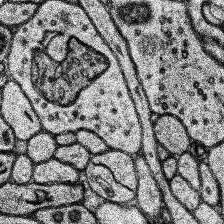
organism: Human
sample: Temporal Lobe